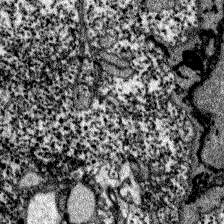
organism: Zebrafish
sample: Larval olfactory bulb